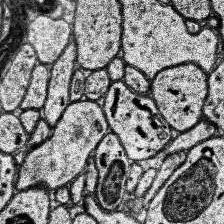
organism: Human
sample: Temporal Lobe